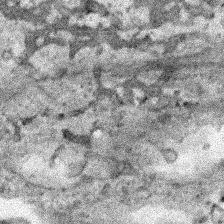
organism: Human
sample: Mitochondria in HCT116 cells